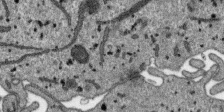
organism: Human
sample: Lung epithelial cells, uninfected (mock) control